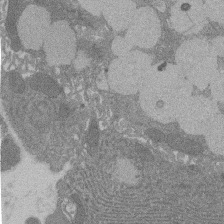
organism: Rat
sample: Salivary granule